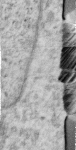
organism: Human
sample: Centriole in RPE cells